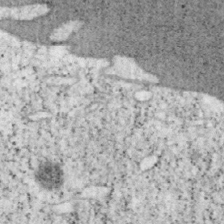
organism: Mouse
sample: OT-I killer T cells with ID8 ovarian cancer cells